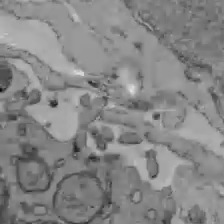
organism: C57BL Mouse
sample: Liver